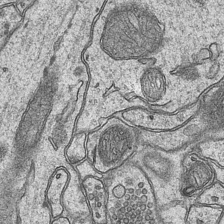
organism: Mouse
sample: CA1 Hippocampus